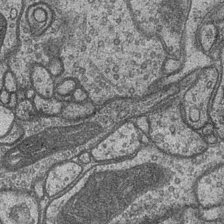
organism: Drosophila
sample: Optic medulla